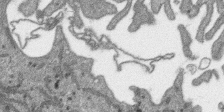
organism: Human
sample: Lung epithelial cells infected with SARS-CoV-2